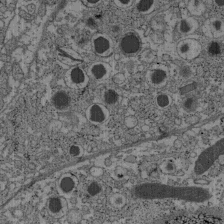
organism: C57BL Mouse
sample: Pancreatic islet